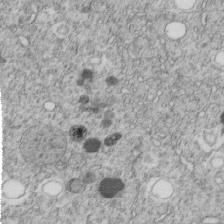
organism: C. elegans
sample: C. elegans embryo early stage